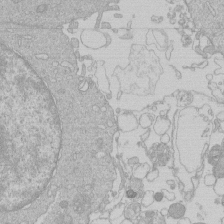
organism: Human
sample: Macrophage cells